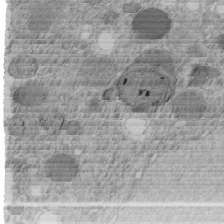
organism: C. elegans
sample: C. elegans embryo early stage